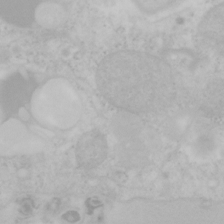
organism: Mouse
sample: OT-I killer T cells with ID8 ovarian cancer cells